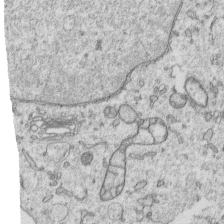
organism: Human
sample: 1205lu cells